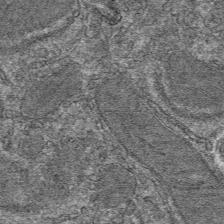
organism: Mouse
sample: Mouse hepatocytes